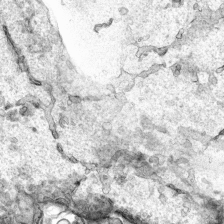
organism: Human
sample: Mitochondria in HCT116 cells